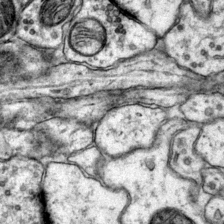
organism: Mouse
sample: Primary visual cortex